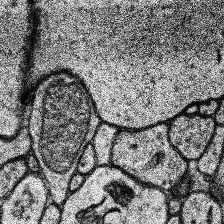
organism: Human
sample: Temporal Lobe